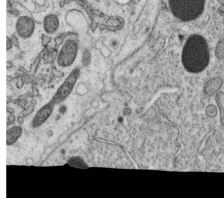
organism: C. elegans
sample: C. elegans oocyte; sperm cells